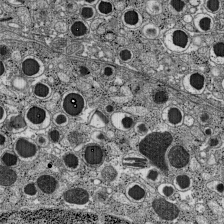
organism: C57BL Mouse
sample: Pancreatic islet